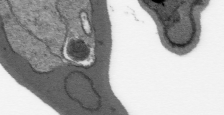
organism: Plasmodium falciparum